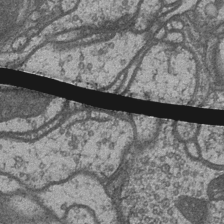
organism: Drosophila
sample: Optic medulla